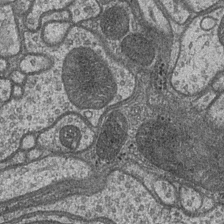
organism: Drosophila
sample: Optic medulla